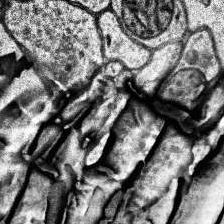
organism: Human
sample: Temporal Lobe